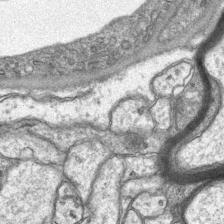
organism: Mouse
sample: CA1 Hippocampus